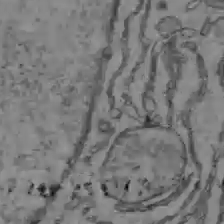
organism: C57BL Mouse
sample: Liver